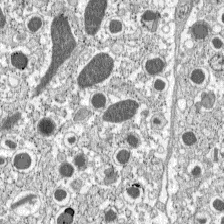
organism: C57BL Mouse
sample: Pancreatic islet